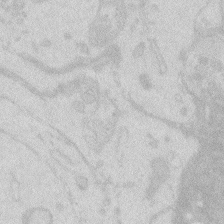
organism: Zebrafish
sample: Macrophage